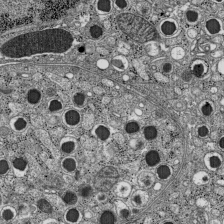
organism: C57BL Mouse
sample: Pancreatic islet